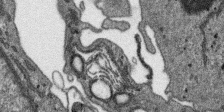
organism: Human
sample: Lung epithelial cells infected with SARS-CoV-2